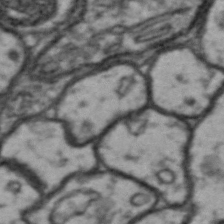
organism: Drosophila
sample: Brain